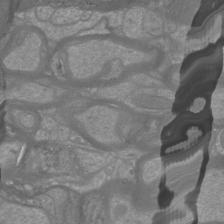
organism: Mouse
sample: Cortical neurons